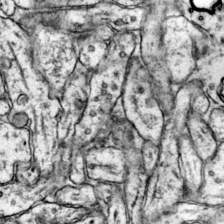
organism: Mouse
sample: Primary visual cortex